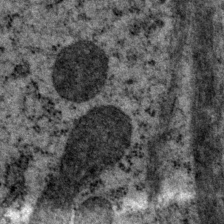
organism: P. pacificus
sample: Pharynx